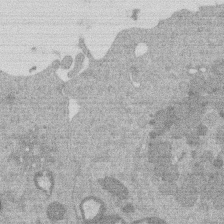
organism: Mouse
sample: Dividing mouse embryo 1 cell stage